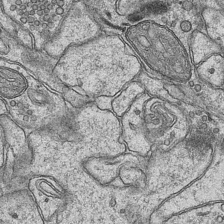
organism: Mouse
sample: CA1 Hippocampus